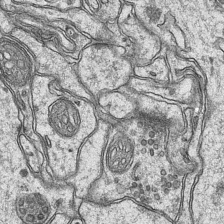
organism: Mouse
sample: CA1 Hippocampus